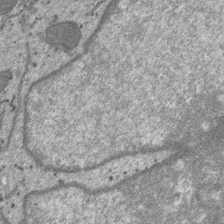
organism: Human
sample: Lung epithelial cells infected with SARS-CoV-2